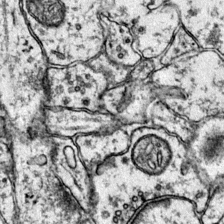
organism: Mouse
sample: Primary visual cortex